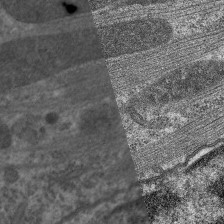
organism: C. elegans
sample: Pharynx